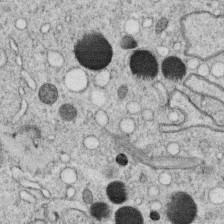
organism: C. elegans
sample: C. elegans oocyte; sperm cells